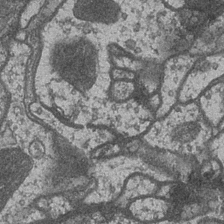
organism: Drosophila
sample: Optic medulla